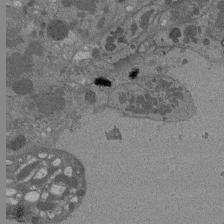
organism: Drosophila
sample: Antenna